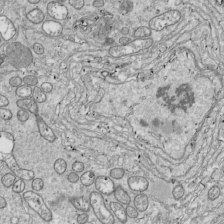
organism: Drosophila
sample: Cell division; meiosis; drosophila spermatocytes